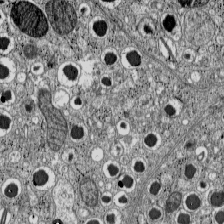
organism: C57BL Mouse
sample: Pancreatic islet